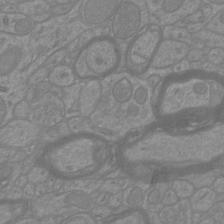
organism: Mouse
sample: Cortical neurons